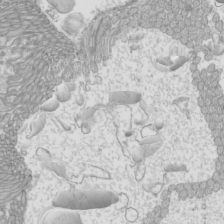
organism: Mouse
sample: Cilia; mouse epididymis